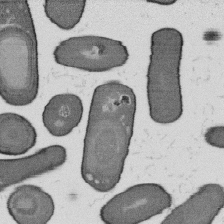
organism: B. subtilis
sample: Bacterial spore